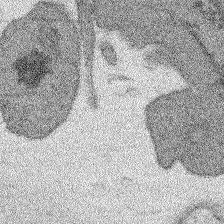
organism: Human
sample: HeLa cells